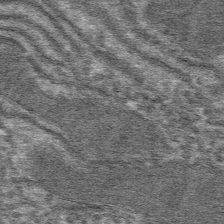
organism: Mouse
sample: Mouse hepatocytes